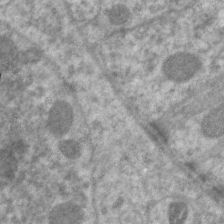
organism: C. elegans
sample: Pharynx